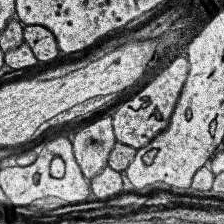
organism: Human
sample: Temporal Lobe